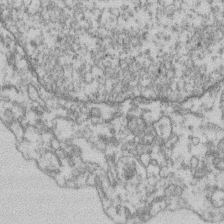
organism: Mouse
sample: T cell stromal cell synapse